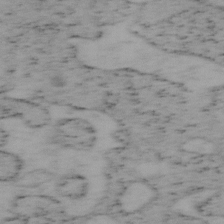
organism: Mouse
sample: OT-I killer T cells with ID8 ovarian cancer cells